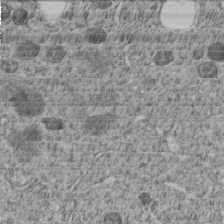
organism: C. elegans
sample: C. elegans embryo early stage